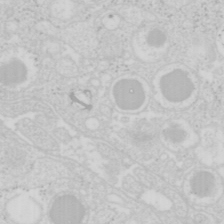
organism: Mouse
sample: Pancreas